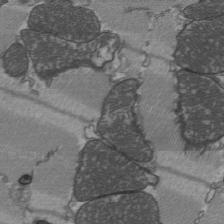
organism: C57BL Mouse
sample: Heart